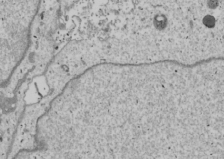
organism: Human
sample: Mitochondria in U2OS cells